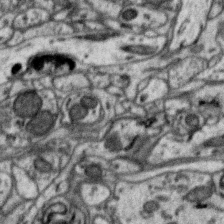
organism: Zebra finch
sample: Brain